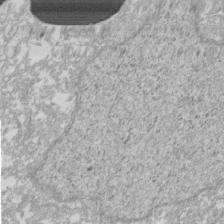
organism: Xenopus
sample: Cilia; centrioles in frog embryo cells